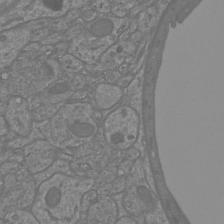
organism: Mouse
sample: Cortical neurons